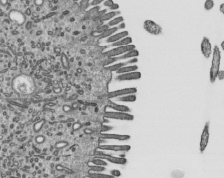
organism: Mouse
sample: Mouse epididymis efferent ductule cilia